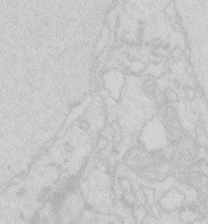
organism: Zebrafish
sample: Macrophage